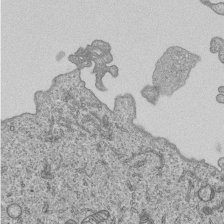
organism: Human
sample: MDA-MB-231 cells